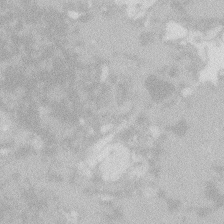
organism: Zebrafish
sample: Macrophage